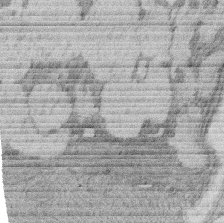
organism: Rat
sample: Salivary granule